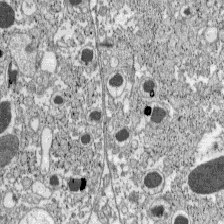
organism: C57BL Mouse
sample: Pancreatic islet